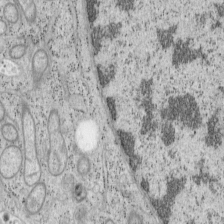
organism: Mouse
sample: OT-I killer T cells with ID8 ovarian cancer cells